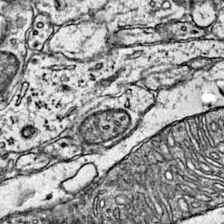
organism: Mouse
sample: Primary visual cortex